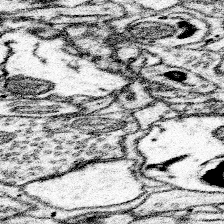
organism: Mouse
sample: Somatosensory cortex neuropil